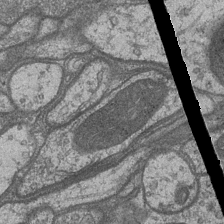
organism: Drosophila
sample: Optic medulla